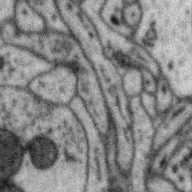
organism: Zebra finch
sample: Brain